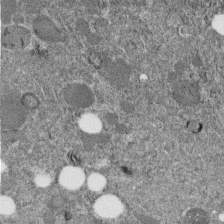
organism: C. elegans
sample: C. elegans embryo early stage